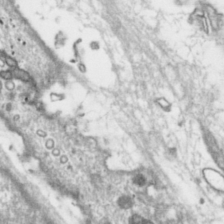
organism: Toxoplasma gondii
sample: Parasites in a vacuole inside a host cell